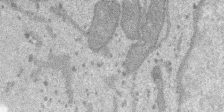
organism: Human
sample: Lung epithelial cells infected with SARS-CoV-2